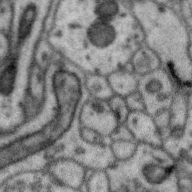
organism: Zebra finch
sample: Brain